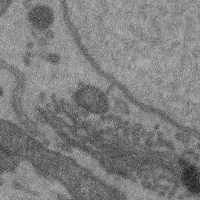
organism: Mouse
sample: Cerebral cortex